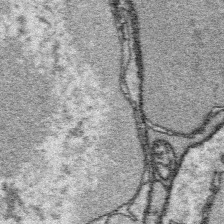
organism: Platynereis dumerilii